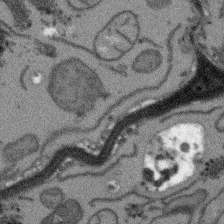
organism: Arabidopsis thaliana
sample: Root tip